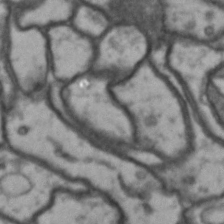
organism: Drosophila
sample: Brain